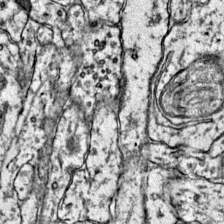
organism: Mouse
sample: Primary visual cortex